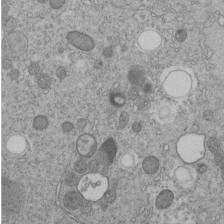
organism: C. elegans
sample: C. elegans embryo early stage